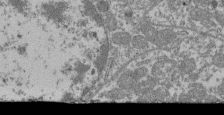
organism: Mouse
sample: Glomerulus